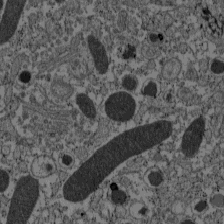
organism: C57BL Mouse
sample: Pancreatic islet